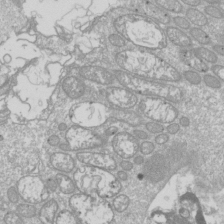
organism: Drosophila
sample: Cell division; meiosis; drosophila spermatocytes